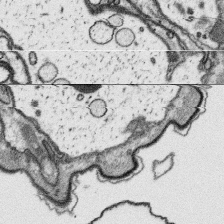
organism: Platynereis dumerilii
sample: Parapodia